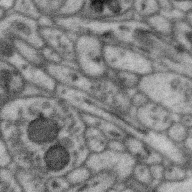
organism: Zebra finch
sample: Brain